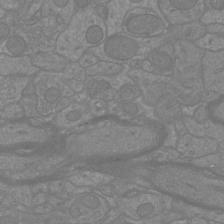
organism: Mouse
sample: Cortical neurons